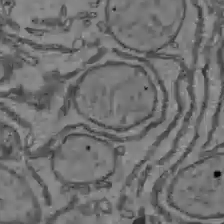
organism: C57BL Mouse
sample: Liver